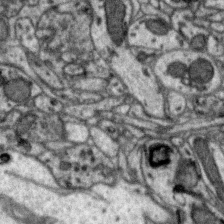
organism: Zebra finch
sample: Brain